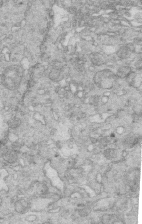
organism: Mouse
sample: Multiciliated cells